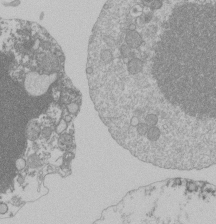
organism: Mouse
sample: Activated Pmel transgenic CD8+ T Cells